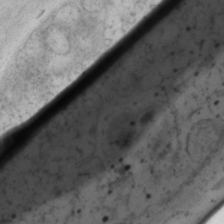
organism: P. pacificus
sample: Pharynx